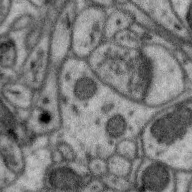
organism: Zebra finch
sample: Brain